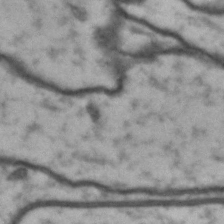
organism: Drosophila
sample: Brain